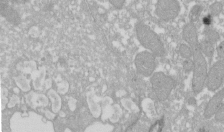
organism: Xenopus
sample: Cilia; centrioles in frog embryo cells